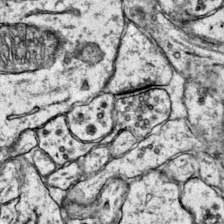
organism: Mouse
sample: Primary visual cortex